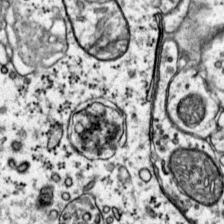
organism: Mouse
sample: Primary visual cortex